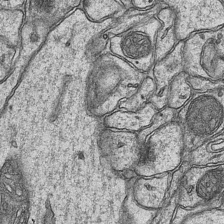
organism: Mouse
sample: CA1 Hippocampus